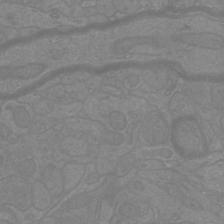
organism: Mouse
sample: Cortical neurons